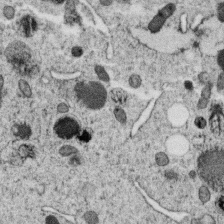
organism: C. elegans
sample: C. elegans oocyte; sperm cells